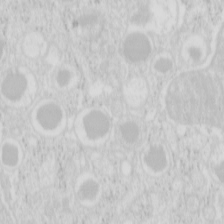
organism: Mouse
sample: Pancreas